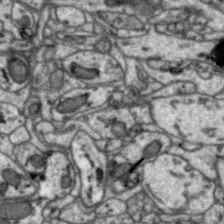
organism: Zebra finch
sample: Brain